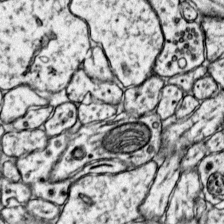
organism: Mouse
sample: Primary visual cortex